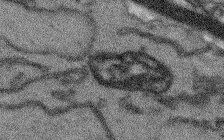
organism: Arabidopsis thaliana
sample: Root tip